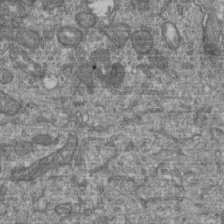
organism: Human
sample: Retinal organoid Rod and Cone cells